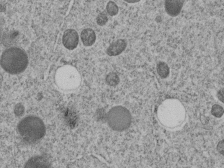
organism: C. elegans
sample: C. elegans embryo early stage